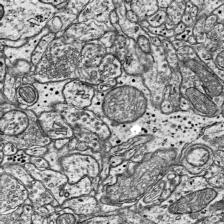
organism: Mouse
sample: Visual Cortex